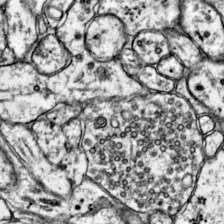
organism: Mouse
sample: Primary visual cortex